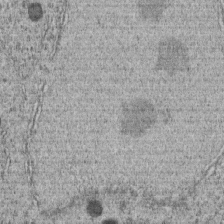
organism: C. elegans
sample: C. elegans embryo early stage